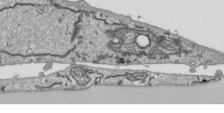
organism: Human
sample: Mitochondria in HCT116 cells